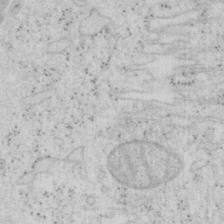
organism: Human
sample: HeLa cells